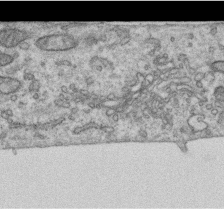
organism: Human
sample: Centriole in RPE cells